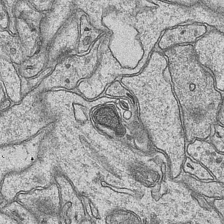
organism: Mouse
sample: CA1 Hippocampus